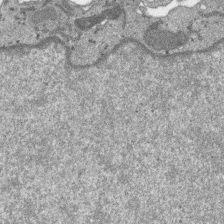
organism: Human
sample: Lung epithelial cells infected with SARS-CoV-2